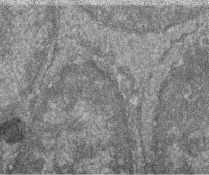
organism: Zebrafish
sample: Cilia; retinal pigment epithelium